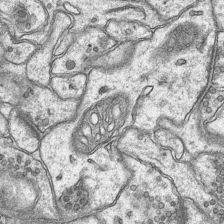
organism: Mouse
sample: CA1 Hippocampus